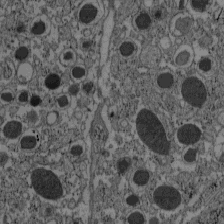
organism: C57BL Mouse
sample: Pancreatic islet